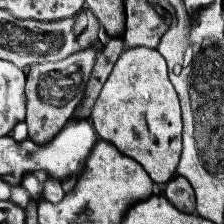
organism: Human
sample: Temporal Lobe